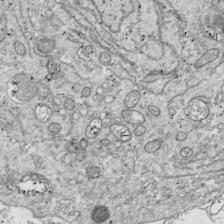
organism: Drosophila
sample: Cell division; meiosis; drosophila spermatocytes